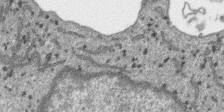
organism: Human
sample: Lung epithelial cells infected with SARS-CoV-2